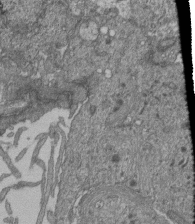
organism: Human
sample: Retinal organoid Rod and Cone cells